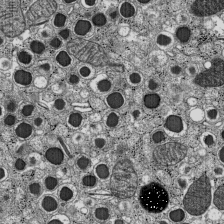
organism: C57BL Mouse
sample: Pancreatic islet